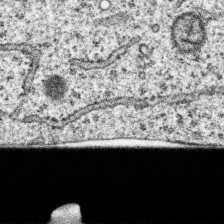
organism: Human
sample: HeLa cells